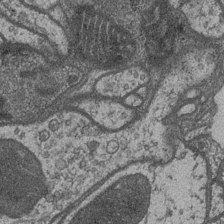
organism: Drosophila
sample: Optic medulla